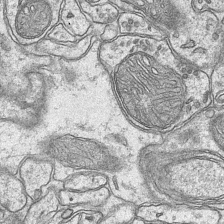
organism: Mouse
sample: CA1 Hippocampus